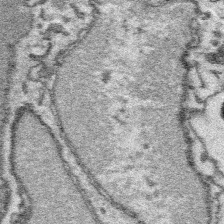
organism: Platynereis dumerilii